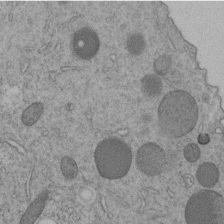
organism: C. elegans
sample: C. elegans embryo early stage